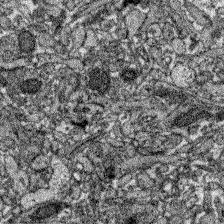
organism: Zebrafish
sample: Larval olfactory bulb